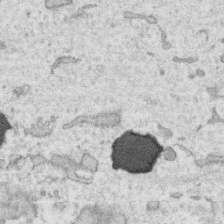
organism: Human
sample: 1205lu cells